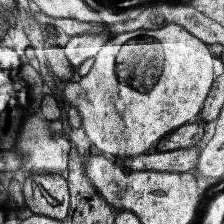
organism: Human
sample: Temporal Lobe